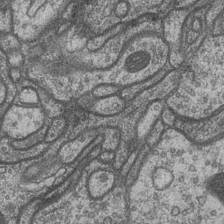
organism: Drosophila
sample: Optic medulla